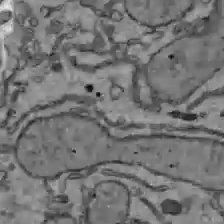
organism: C57BL Mouse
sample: Liver